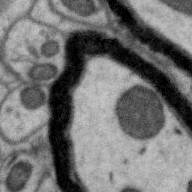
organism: Zebra finch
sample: Brain